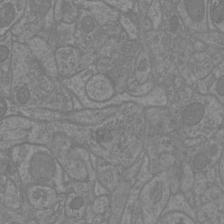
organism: Mouse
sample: Cortical neurons